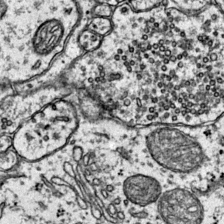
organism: Mouse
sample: Primary visual cortex